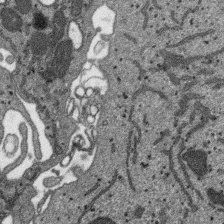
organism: Human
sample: Lung epithelial cells infected with SARS-CoV-2